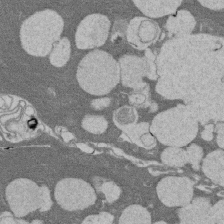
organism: Rat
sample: Salivary granule